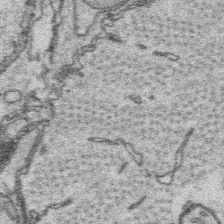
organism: Platynereis dumerilii